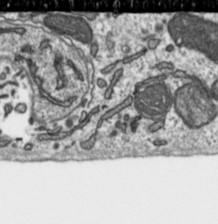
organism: Toxoplasma gondii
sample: Parasites in a vacuole inside a host cell